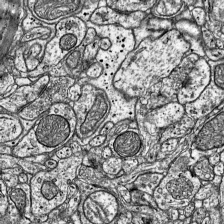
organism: Mouse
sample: Visual Cortex